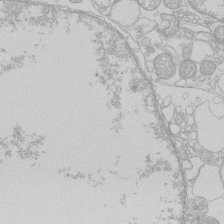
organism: Human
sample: Macrophage cells